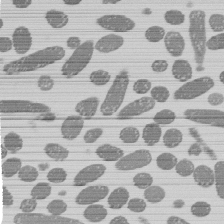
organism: E. coli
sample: Bacterial nucleoid